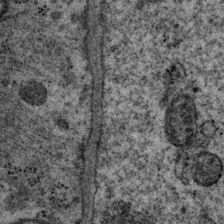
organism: P. pacificus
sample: Pharynx